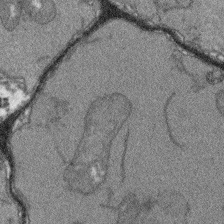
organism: Arabidopsis thaliana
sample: Root tip